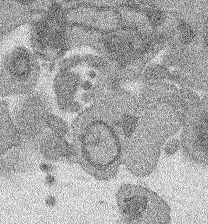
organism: Human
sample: HeLa cells